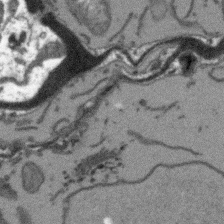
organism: Arabidopsis thaliana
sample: Root tip